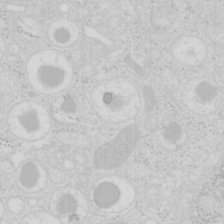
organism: Mouse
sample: Pancreas